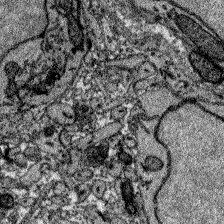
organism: Zebrafish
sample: Larval olfactory bulb